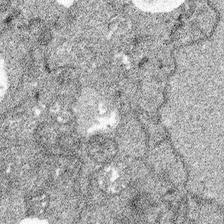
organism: Spongilla lacustris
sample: Multiple